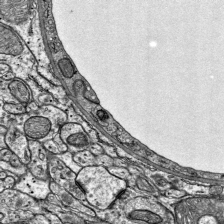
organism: Mouse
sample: Visual Cortex